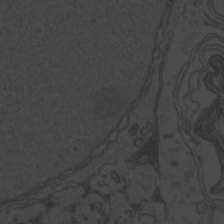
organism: Zebrafish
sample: Macrophage infected with Toxoplasma gondii